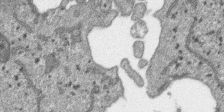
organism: Human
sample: Lung epithelial cells infected with SARS-CoV-2